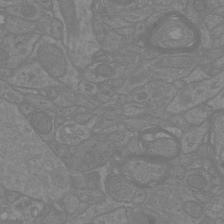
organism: Mouse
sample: Cortical neurons